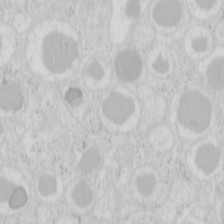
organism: Mouse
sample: Pancreas